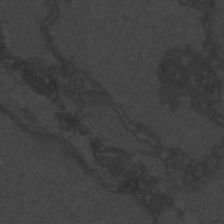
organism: Zebrafish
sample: Macrophage infected with Toxoplasma gondii